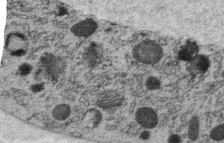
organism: C. elegans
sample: C. elegans oocyte; sperm cells